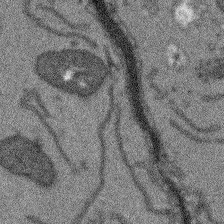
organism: Arabidopsis thaliana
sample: Root tip